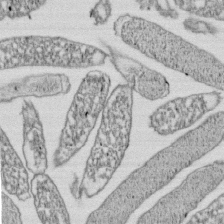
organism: E. coli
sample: Bacterial nucleoid